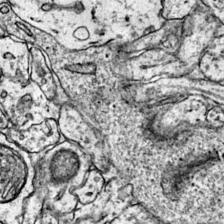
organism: Mouse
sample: Primary visual cortex